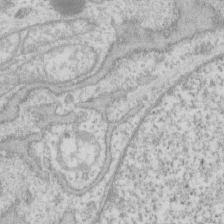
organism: Human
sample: Fibroblast cells